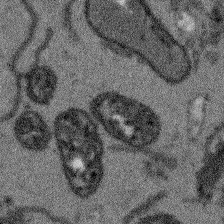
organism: Arabidopsis thaliana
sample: Root tip